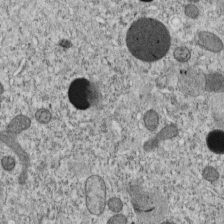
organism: C. elegans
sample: C. elegans embryo early stage